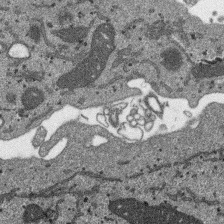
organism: Human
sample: Lung epithelial cells infected with SARS-CoV-2